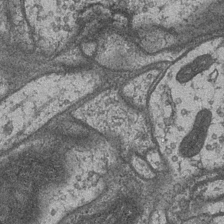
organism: Drosophila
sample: Optic medulla